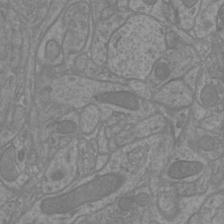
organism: Mouse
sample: Cortical neurons